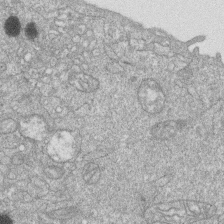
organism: Human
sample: HeLa cell HIV synapse